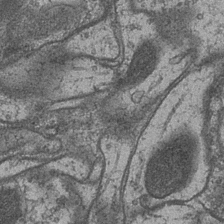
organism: Drosophila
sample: Optic medulla